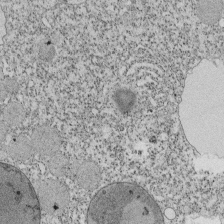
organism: Tetrahymena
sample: Cilia in tetrahymena